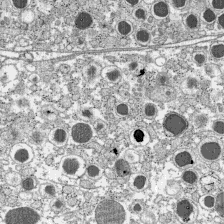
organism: C57BL Mouse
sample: Pancreatic islet